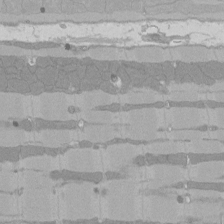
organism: Rat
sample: Left ventricle